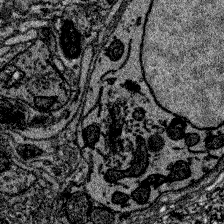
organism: Zebrafish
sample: Larval olfactory bulb